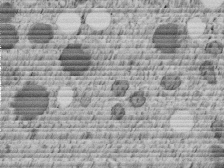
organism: C. elegans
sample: C. elegans embryo early stage